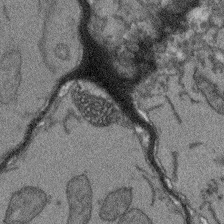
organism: Arabidopsis thaliana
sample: Root tip